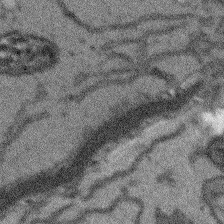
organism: Arabidopsis thaliana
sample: Root tip